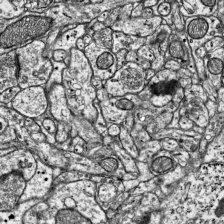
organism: Mouse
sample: Visual Cortex